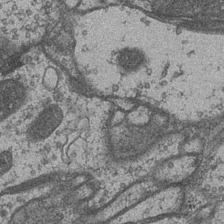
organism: Drosophila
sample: Optic medulla